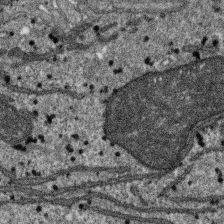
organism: Human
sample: Lung epithelial cells infected with SARS-CoV-2